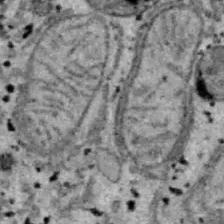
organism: Mouse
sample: Liver from an obese (ob/ob) mouse